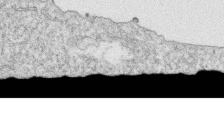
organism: Human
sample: HeLa cell HIV synapse